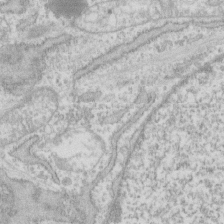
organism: Human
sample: Fibroblast cells